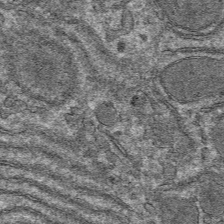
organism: Mouse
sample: Mouse hepatocytes